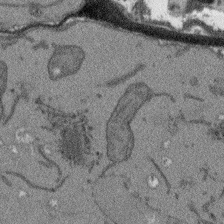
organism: Arabidopsis thaliana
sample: Root tip